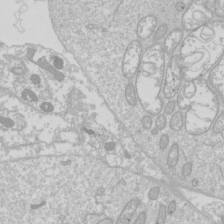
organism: Drosophila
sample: Cell division; meiosis; drosophila spermatocytes